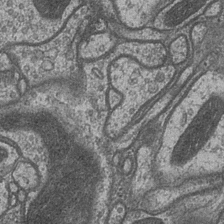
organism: Drosophila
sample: Optic medulla